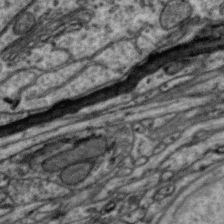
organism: Zebra finch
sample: Brain